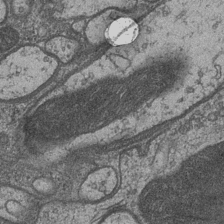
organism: Drosophila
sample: Optic medulla